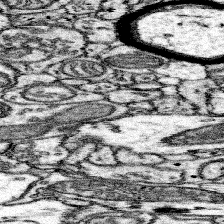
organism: Mouse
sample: Somatosensory cortex neuropil